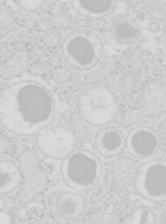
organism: Mouse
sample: Pancreas